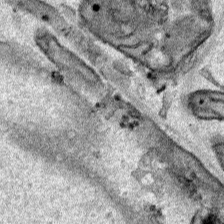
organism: Human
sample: Mitochondria in HCT116 cells